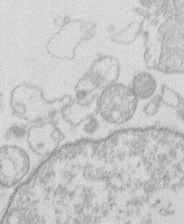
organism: Human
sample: Macrophage cells